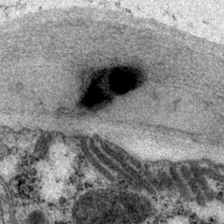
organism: P. pacificus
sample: Pharynx